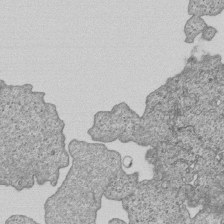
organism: Human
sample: MDA-MB-231 cells